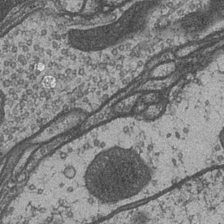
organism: Drosophila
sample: Optic medulla